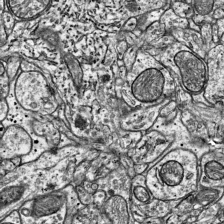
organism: Mouse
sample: Visual Cortex